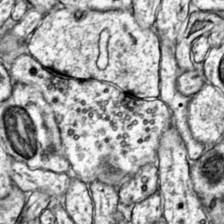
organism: Mouse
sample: Primary visual cortex